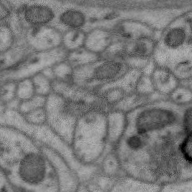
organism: Zebra finch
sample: Brain